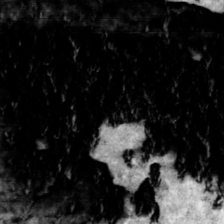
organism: Toxoplasma gondii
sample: Parasites in a vacuole inside a host cell